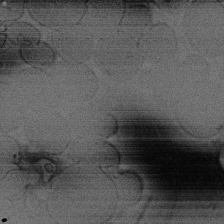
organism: Rat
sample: Salivary granule